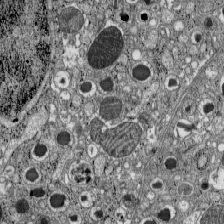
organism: C57BL Mouse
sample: Pancreatic islet